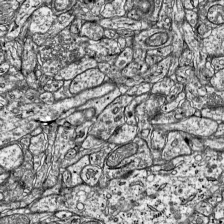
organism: Mouse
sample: Visual Cortex